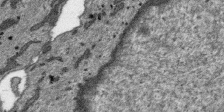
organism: Human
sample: Lung epithelial cells, uninfected (mock) control